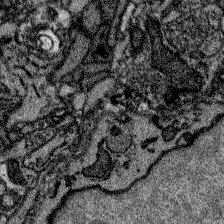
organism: Zebrafish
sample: Larval olfactory bulb